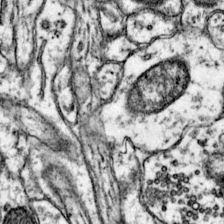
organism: Mouse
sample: Primary visual cortex